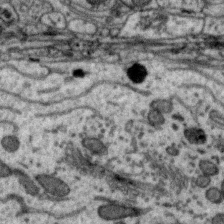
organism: Zebra finch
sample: Brain